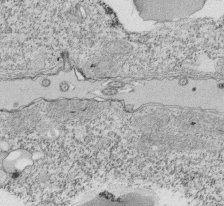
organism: Tetrahymena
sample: Cilia in tetrahymena